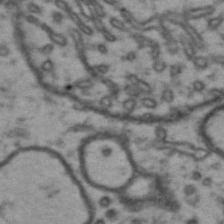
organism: Drosophila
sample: Brain